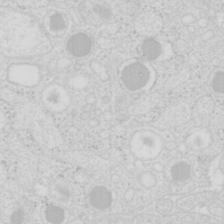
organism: Mouse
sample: Pancreas